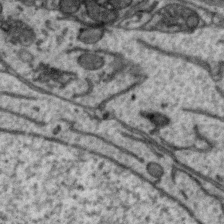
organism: Zebra finch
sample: Brain